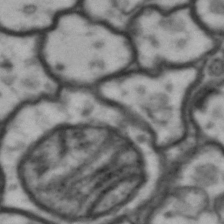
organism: Drosophila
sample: Brain